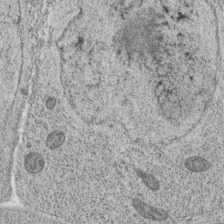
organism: C. elegans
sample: C. elegans oocyte; sperm cells